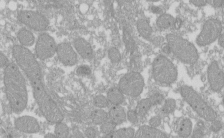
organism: Xenopus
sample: Cilia; centrioles in frog embryo cells